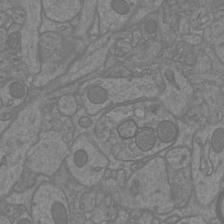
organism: Mouse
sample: Cortical neurons